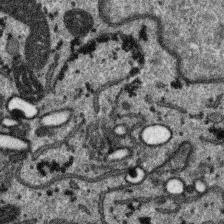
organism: Human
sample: Lung epithelial cells infected with SARS-CoV-2